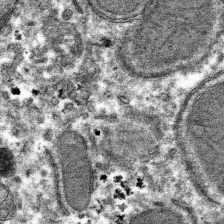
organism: Mouse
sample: Mouse hepatocytes